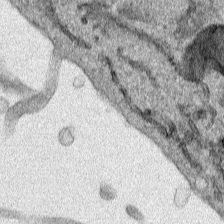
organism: Human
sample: Mitochondria in HCT116 cells